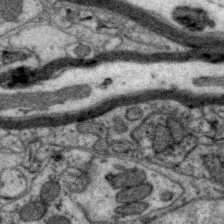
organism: Zebra finch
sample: Brain